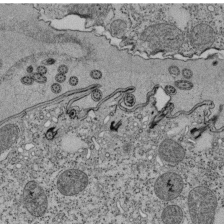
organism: Tetrahymena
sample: Cilia in tetrahymena